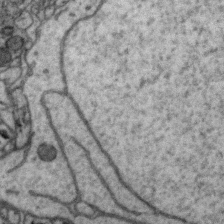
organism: Zebra finch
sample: Brain